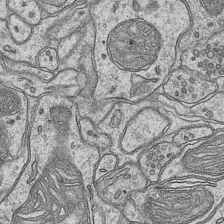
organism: Mouse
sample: CA1 Hippocampus